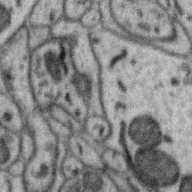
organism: Zebra finch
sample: Brain